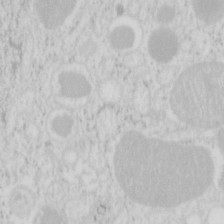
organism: Mouse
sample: Pancreas